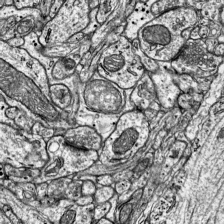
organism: Mouse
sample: Visual Cortex